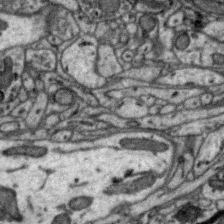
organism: Zebra finch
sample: Brain